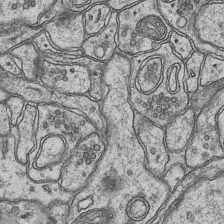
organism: Mouse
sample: CA1 Hippocampus